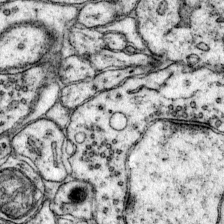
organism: Mouse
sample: Primary visual cortex